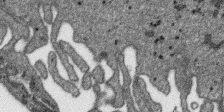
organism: Human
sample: Lung epithelial cells infected with SARS-CoV-2